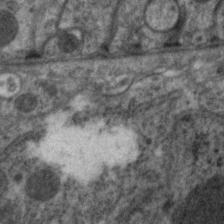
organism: C. elegans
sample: Pharynx